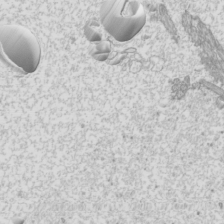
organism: Mouse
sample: Cilia; mouse epididymis